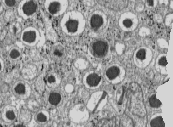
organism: C57BL Mouse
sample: Pancreatic islet